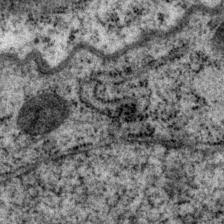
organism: P. pacificus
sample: Pharynx